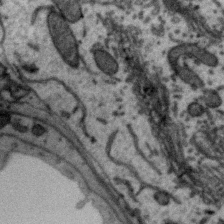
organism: Zebra finch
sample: Brain